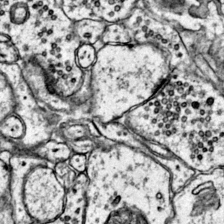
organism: Mouse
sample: Primary visual cortex